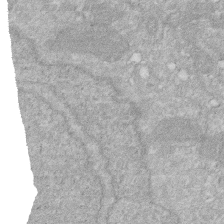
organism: Human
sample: HIV infected U937 cells